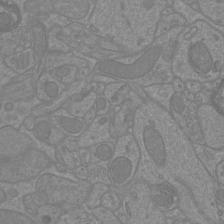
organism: Mouse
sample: Cortical neurons